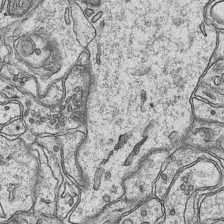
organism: Mouse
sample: CA1 Hippocampus